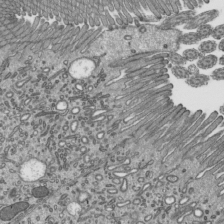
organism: Mouse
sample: Mouse epididymis efferent ductule cilia